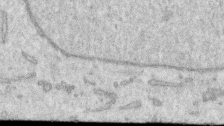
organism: Human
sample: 1205lu cells